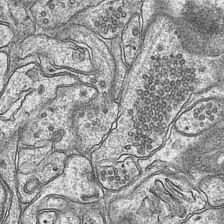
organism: Mouse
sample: CA1 Hippocampus